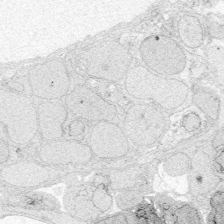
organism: Zebrafish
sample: Whole-Brain